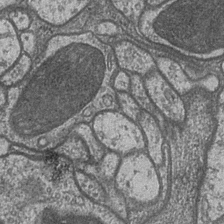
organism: Drosophila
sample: Optic medulla